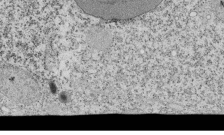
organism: Tetrahymena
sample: Cilia in tetrahymena